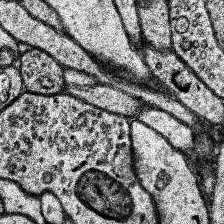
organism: Human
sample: Temporal Lobe